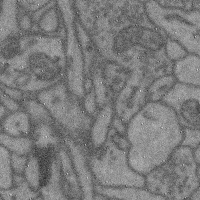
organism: Mouse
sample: Cerebral cortex